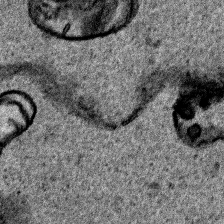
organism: Human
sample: Mitochondria in HCT116 cells